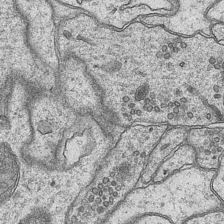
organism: Mouse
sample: CA1 Hippocampus